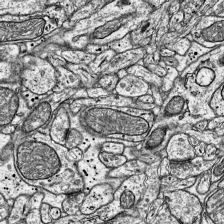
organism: Mouse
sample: Visual Cortex